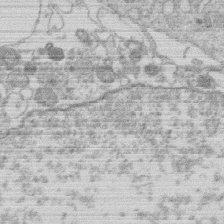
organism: Human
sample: Macrophage cells